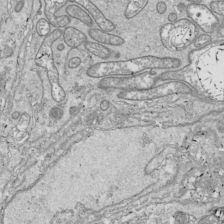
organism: Drosophila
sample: Cell division; meiosis; drosophila spermatocytes